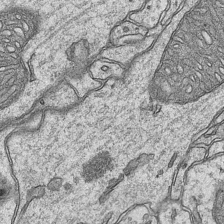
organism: Mouse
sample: CA1 Hippocampus